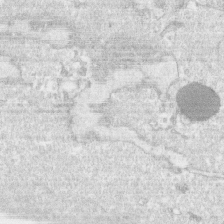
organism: Human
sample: CRL-1474